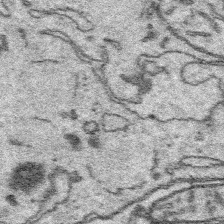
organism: Platynereis dumerilii